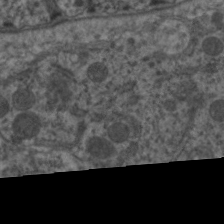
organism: C. elegans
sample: Pharynx